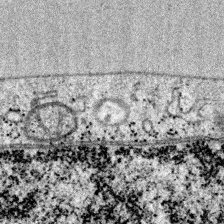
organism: Human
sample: HeLa cells